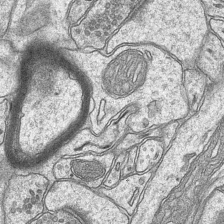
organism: Mouse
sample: CA1 Hippocampus